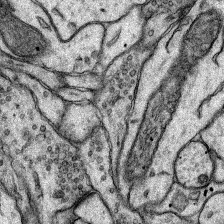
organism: Rat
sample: Hippocampus